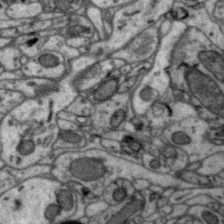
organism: Zebra finch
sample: Brain